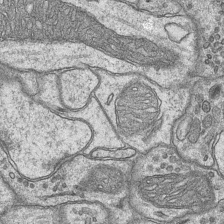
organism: Mouse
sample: CA1 Hippocampus